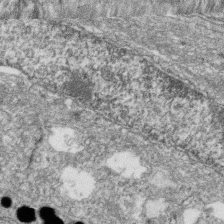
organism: Zebrafish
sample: Cilia; retinal pigment epithelium